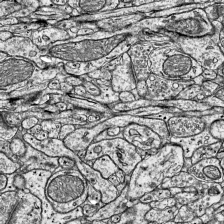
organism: Mouse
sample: Visual Cortex